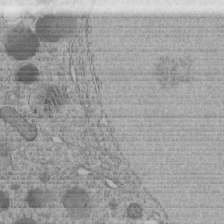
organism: C. elegans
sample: C. elegans embryo early stage